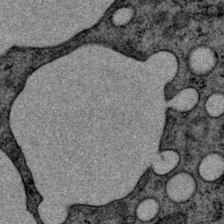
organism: P. pacificus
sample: Pharynx